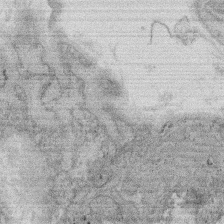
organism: Rat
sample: Salivary granule